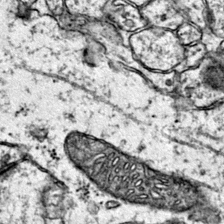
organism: Mouse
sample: Primary visual cortex